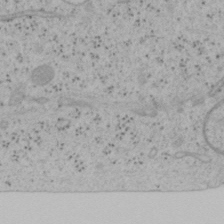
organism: Human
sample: HeLa cells